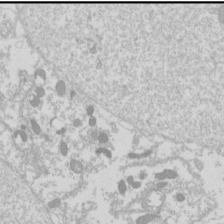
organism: Drosophila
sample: Cell division; meiosis; drosophila spermatocytes